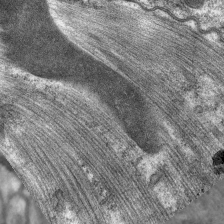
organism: C. elegans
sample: Pharynx